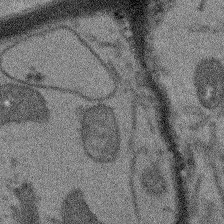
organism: Arabidopsis thaliana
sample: Root tip